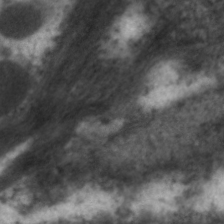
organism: C. elegans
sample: Pharynx